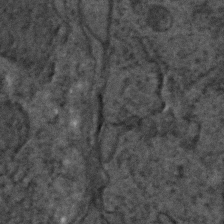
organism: C. elegans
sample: C. elegans embryo